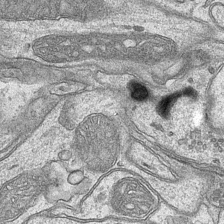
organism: Mouse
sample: CA1 Hippocampus